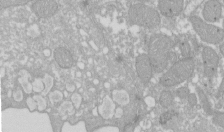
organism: Xenopus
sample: Cilia; centrioles in frog embryo cells